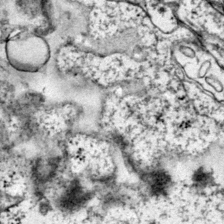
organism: Mouse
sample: Primary visual cortex